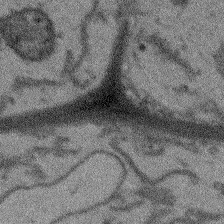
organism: Arabidopsis thaliana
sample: Root tip